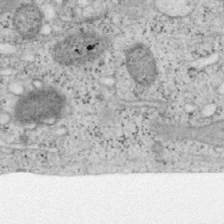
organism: Mouse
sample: OT-I killer T cells with ID8 ovarian cancer cells